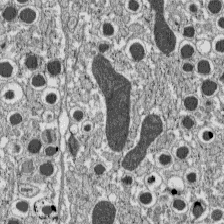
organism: C57BL Mouse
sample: Pancreatic islet